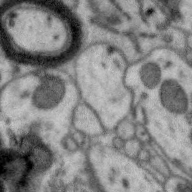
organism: Zebra finch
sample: Brain